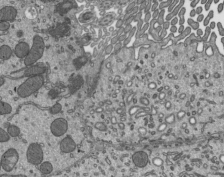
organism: Mouse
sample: Mouse epididymis efferent ductule cilia